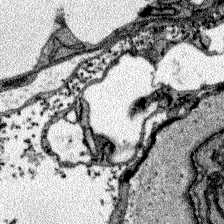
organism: Zebrafish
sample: Larval olfactory bulb